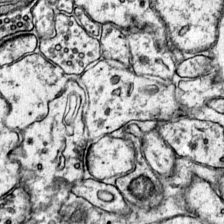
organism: Mouse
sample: Primary visual cortex